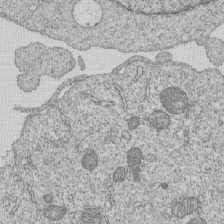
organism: Human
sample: MDA-MB-231 cells